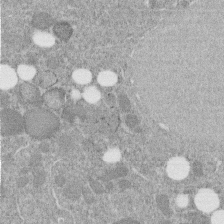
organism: C. elegans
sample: C. elegans embryo early stage